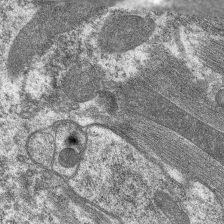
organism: C. elegans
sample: Pharynx